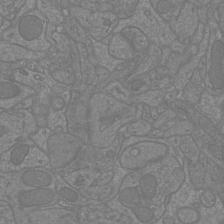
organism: Mouse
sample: Cortical neurons